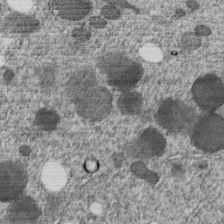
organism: C. elegans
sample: C. elegans embryo early stage